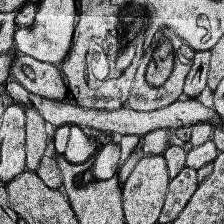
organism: Human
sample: Temporal Lobe